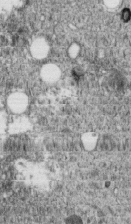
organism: C. elegans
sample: C. elegans embryo early stage